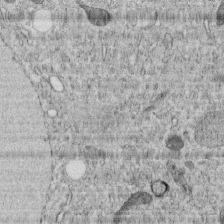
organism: C. elegans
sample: C. elegans embryo early stage